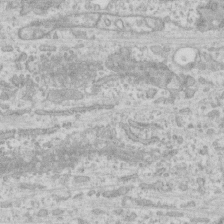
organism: Human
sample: CRL-1474